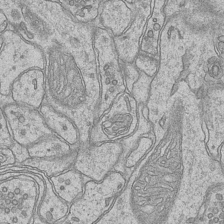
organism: Mouse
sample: CA1 Hippocampus